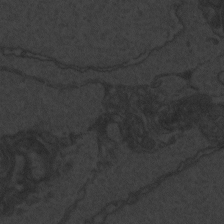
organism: Zebrafish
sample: Macrophage infected with Toxoplasma gondii